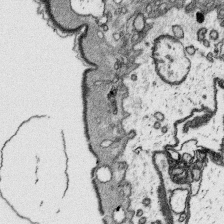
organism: Platynereis dumerilii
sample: Parapodia